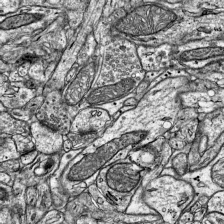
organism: Mouse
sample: Visual Cortex